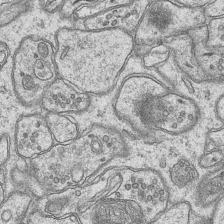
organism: Mouse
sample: CA1 Hippocampus